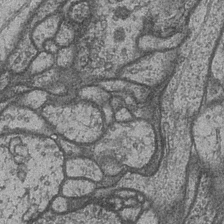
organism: Drosophila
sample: Optic medulla